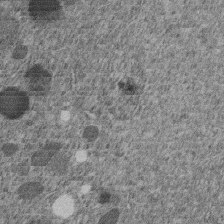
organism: C. elegans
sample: C. elegans embryo early stage